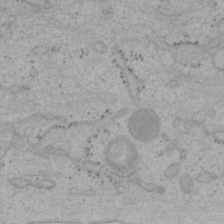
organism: Human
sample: HeLa cells